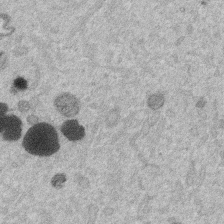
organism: Mouse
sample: Dividing mouse embryo 1 cell stage